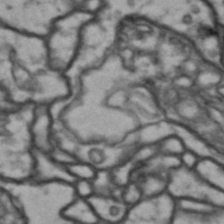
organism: Drosophila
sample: Brain